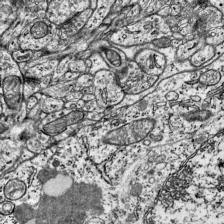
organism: Mouse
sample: Visual Cortex